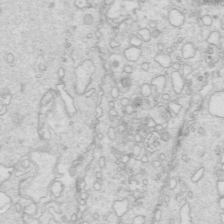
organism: Mouse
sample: Multiciliated cells